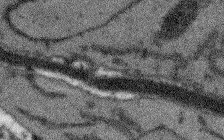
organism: Arabidopsis thaliana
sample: Root tip